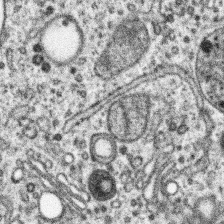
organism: Human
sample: HeLa cells